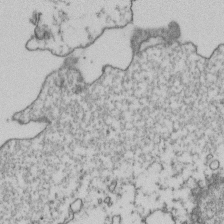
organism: Human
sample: Activated Jurkat CD4+ T cells